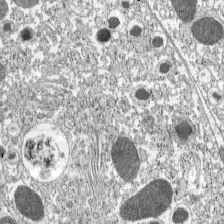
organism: C57BL Mouse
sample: Pancreatic islet